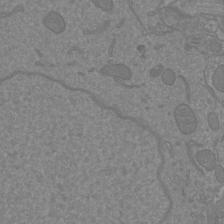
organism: Mouse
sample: Cortical neurons